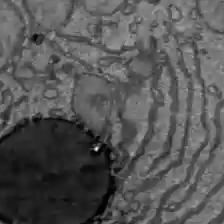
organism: C57BL Mouse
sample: Liver